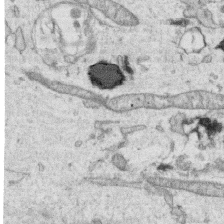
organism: Human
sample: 1205lu cells